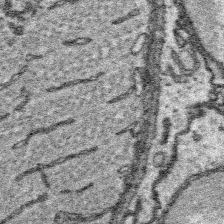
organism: Platynereis dumerilii